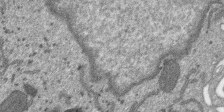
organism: Human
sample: Lung epithelial cells infected with SARS-CoV-2